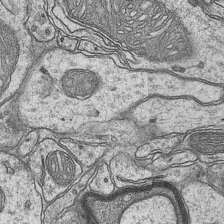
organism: Mouse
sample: CA1 Hippocampus